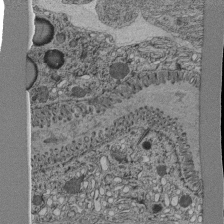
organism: C. elegans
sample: C. elegans pharynx